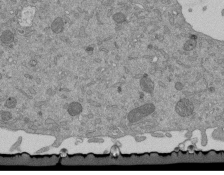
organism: Mouse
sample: ED-1 cell nuclei; centrioles